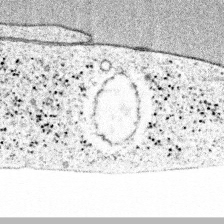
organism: Human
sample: HeLa cells